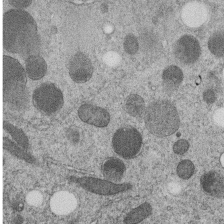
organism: C. elegans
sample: C. elegans embryo early stage